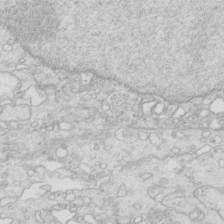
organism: Mouse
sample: Multiciliated cells